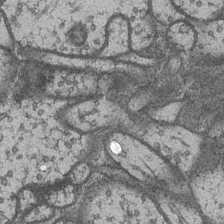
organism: Drosophila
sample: Optic medulla